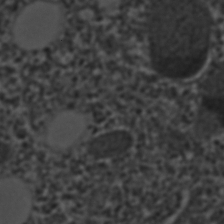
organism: C. elegans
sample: C. elegans embryo